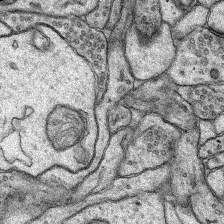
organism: Rat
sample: Hippocampus